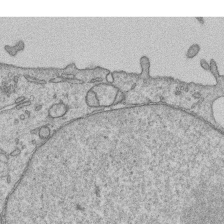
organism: Human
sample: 1205lu cells